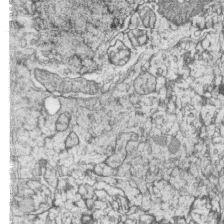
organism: Zebrafish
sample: synaptic ribbons in rod cells and cone cells